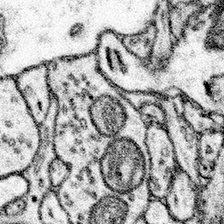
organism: Mouse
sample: Somatosensory cortex neuropil